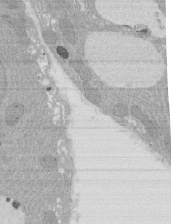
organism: Rat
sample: Salivary granule